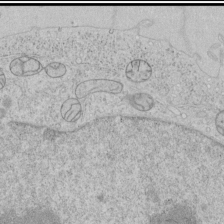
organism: Human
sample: Mitochondria in HCT116 cells